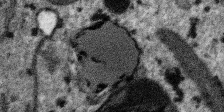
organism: Human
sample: Lung epithelial cells infected with SARS-CoV-2